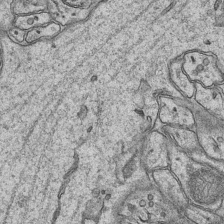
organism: Mouse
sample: CA1 Hippocampus